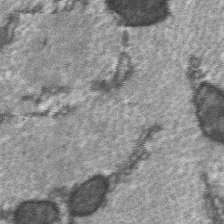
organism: C57BL Mouse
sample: Soleus